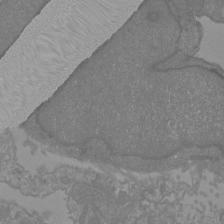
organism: Mouse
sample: Cortical neurons